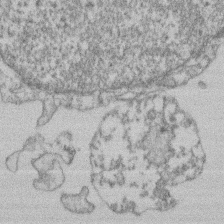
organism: Mouse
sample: T cell stromal cell synapse